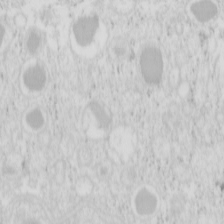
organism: Mouse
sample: Pancreas